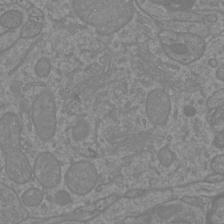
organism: Mouse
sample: Cortical neurons